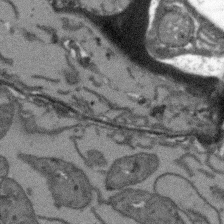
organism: Arabidopsis thaliana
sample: Root tip